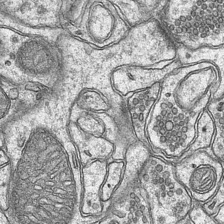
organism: Mouse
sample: CA1 Hippocampus